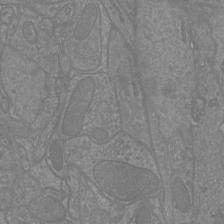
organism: Mouse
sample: Cortical neurons